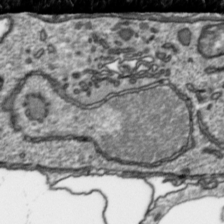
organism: Toxoplasma gondii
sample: Parasites in a vacuole inside a host cell